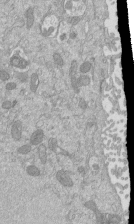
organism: Mouse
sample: ED-1 cell nuclei; centrioles